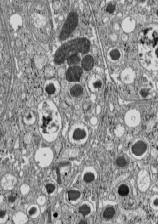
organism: C57BL Mouse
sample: Pancreatic islet